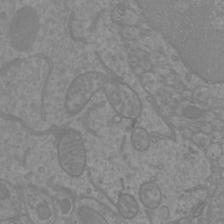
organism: Mouse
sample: Cortical neurons